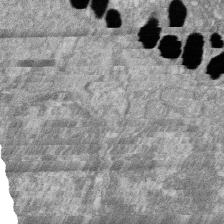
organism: Zebrafish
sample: Cilia; retinal pigment epithelium